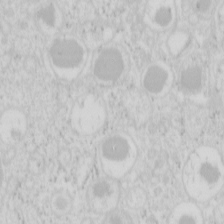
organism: Mouse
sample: Pancreas